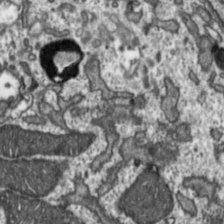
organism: Toxoplasma gondii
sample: Parasites in a vacuole inside a host cell